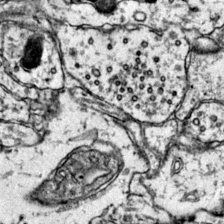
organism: Mouse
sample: Primary visual cortex